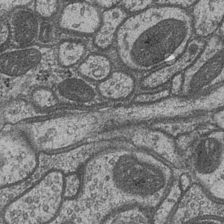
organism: Drosophila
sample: Optic medulla